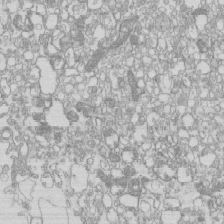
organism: Mouse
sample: Macrophages